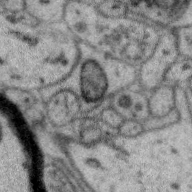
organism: Zebra finch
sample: Brain